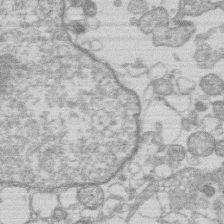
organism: Human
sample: Macrophage cells